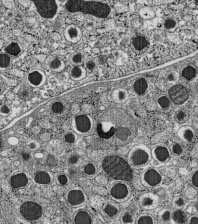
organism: C57BL Mouse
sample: Pancreatic islet